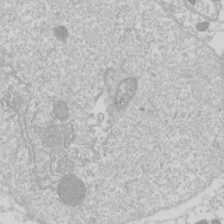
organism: Drosophila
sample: Cell division; meiosis; drosophila spermatocytes